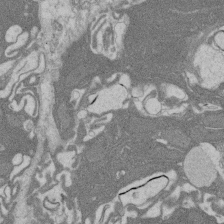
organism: Rat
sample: Salivary granule